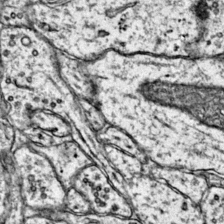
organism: Mouse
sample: Primary visual cortex